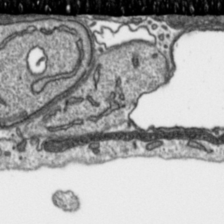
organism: Toxoplasma gondii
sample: Parasites in a vacuole inside a host cell